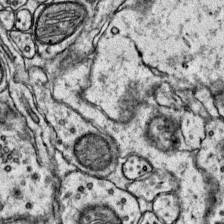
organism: Mouse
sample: Primary visual cortex